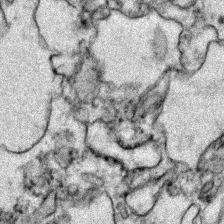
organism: Zebrafish